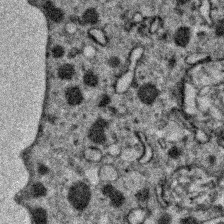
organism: Zebrafish